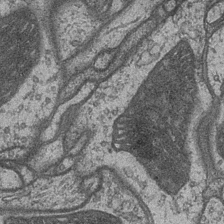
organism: Drosophila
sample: Optic medulla